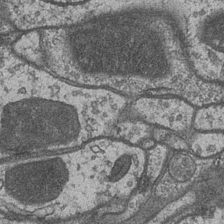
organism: Drosophila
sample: Optic medulla